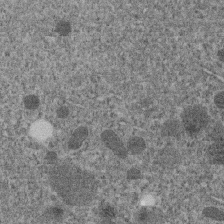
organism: C. elegans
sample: C. elegans embryo early stage